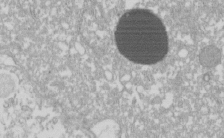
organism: Xenopus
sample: Cilia; centrioles in frog embryo cells